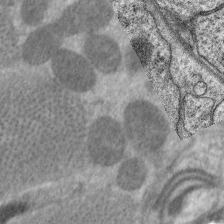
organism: C. elegans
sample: Pharynx